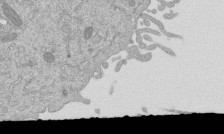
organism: Mouse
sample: ED-1 cell nuclei; centrioles